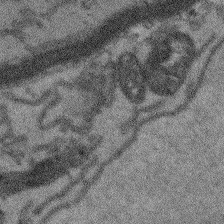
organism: Arabidopsis thaliana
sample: Root tip